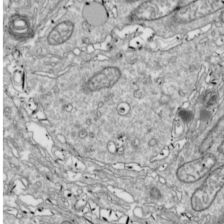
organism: Drosophila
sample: Cell division; meiosis; drosophila spermatocytes